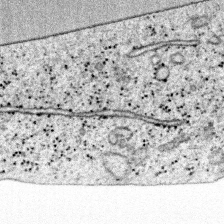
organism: Human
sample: HeLa cells